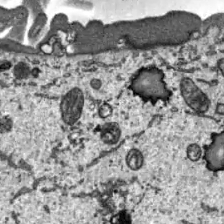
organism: Human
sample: HeLa cells